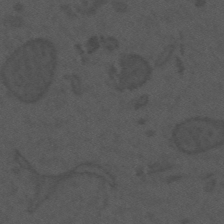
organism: Mouse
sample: Suprachiasmatic nucleus